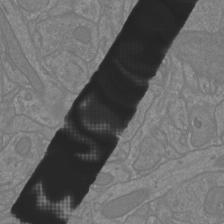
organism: Mouse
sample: Cortical neurons